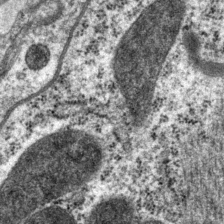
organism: P. pacificus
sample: Pharynx